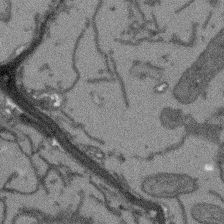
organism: Arabidopsis thaliana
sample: Root tip